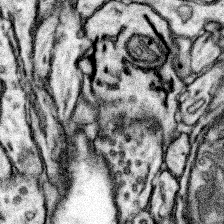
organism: Mouse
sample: Somatosensory cortex neuropil